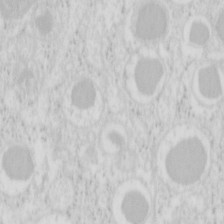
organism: Mouse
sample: Pancreas